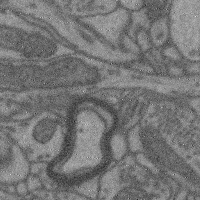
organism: Mouse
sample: Cerebral cortex